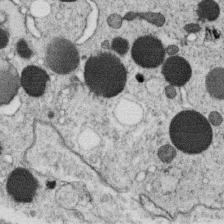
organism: C. elegans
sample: C. elegans oocyte; sperm cells